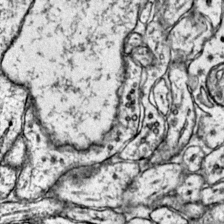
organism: Mouse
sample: Primary visual cortex